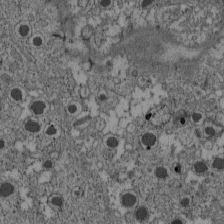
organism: C57BL Mouse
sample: Pancreatic islet